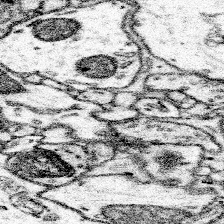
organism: Mouse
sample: Somatosensory cortex neuropil